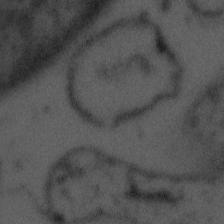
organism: Tuwongella immobilis